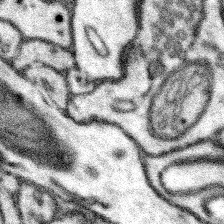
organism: Mouse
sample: Somatosensory cortex neuropil